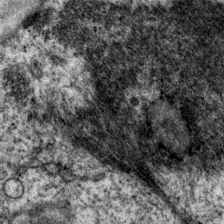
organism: P. pacificus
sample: Pharynx